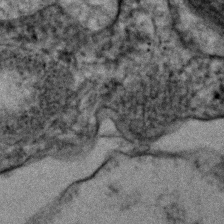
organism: Human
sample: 1205lu cells